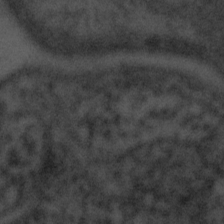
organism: Tuwongella immobilis